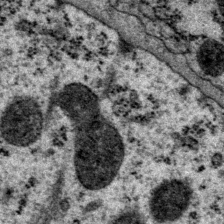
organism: P. pacificus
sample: Pharynx